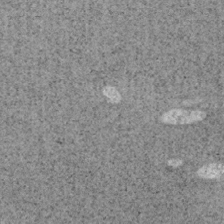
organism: Mouse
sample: OT-I killer T cells with ID8 ovarian cancer cells